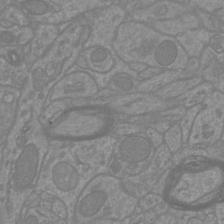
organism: Mouse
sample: Cortical neurons